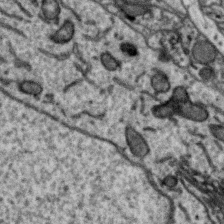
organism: Zebra finch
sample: Brain